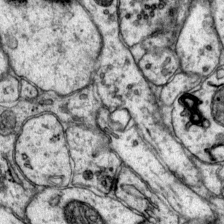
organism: Mouse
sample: Primary visual cortex